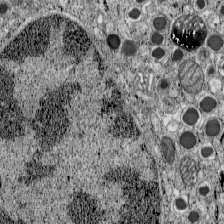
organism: C57BL Mouse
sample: Pancreatic islet